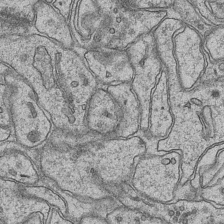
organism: Mouse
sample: CA1 Hippocampus